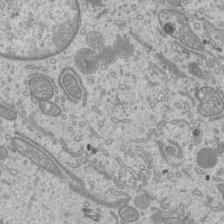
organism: Mouse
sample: Cilia; mouse epididymis